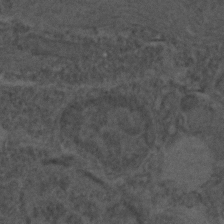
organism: C. elegans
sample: C. elegans embryo